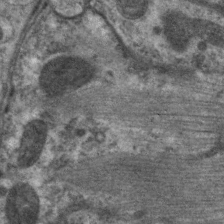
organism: C. elegans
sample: Pharynx